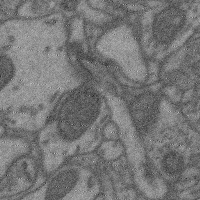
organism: Mouse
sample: Cerebral cortex